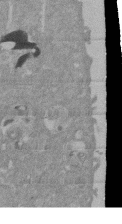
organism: Mouse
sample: ED-1 cell nuclei; centrioles